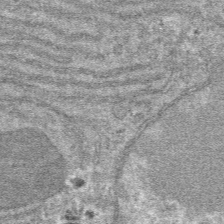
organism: Mouse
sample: Mouse hepatocytes